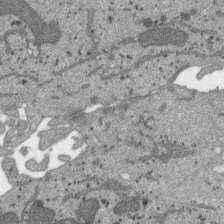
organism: Human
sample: Lung epithelial cells infected with SARS-CoV-2